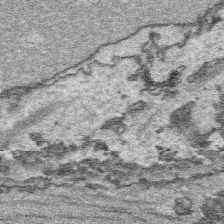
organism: Platynereis dumerilii